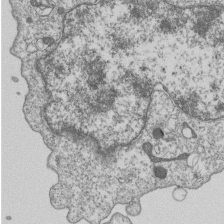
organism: Human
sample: MDA-MB-231 cells